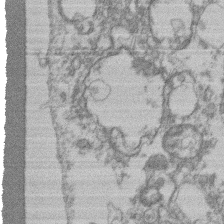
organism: Mouse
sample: T cell stromal cell synapse